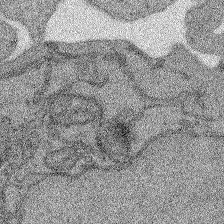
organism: Human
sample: HeLa cells